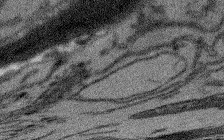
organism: Arabidopsis thaliana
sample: Root tip